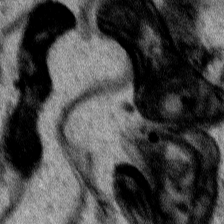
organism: Human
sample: Mitochondria in HCT116 cells